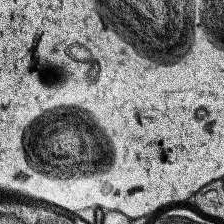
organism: Human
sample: Temporal Lobe